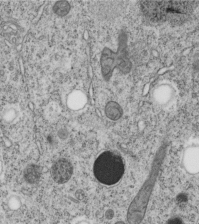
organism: C. elegans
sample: C. elegans embryo early stage